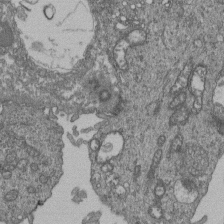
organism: Human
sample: Retinal organoid Rod and Cone cells